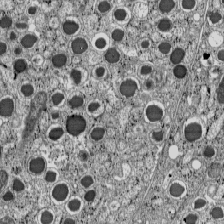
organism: C57BL Mouse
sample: Pancreatic islet